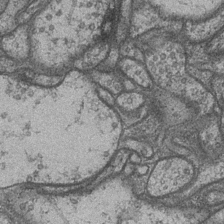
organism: Drosophila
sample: Optic medulla